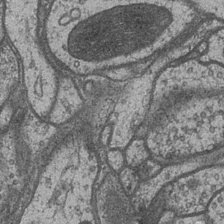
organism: Drosophila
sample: Optic medulla